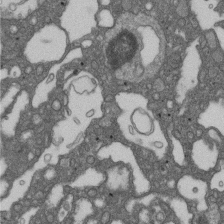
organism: Drosophila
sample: Nephrocyte